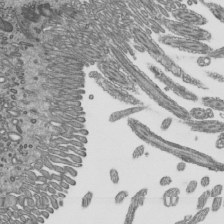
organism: Mouse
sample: Mouse epididymis efferent ductule cilia